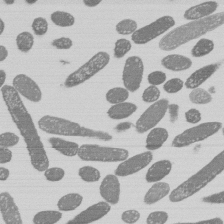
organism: E. coli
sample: Bacterial nucleoid